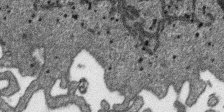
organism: Human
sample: Lung epithelial cells infected with SARS-CoV-2